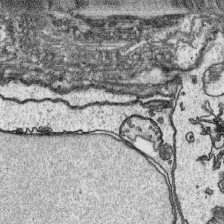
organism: Platynereis dumerilii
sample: Parapodia